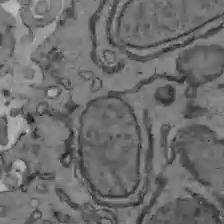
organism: C57BL Mouse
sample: Liver